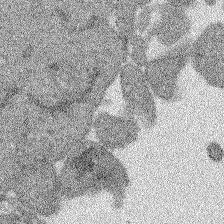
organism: Human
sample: HeLa cells